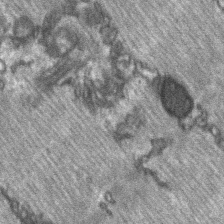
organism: C57BL Mouse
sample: Soleus